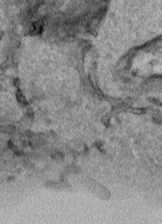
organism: Human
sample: Mitochondria in HCT116 cells